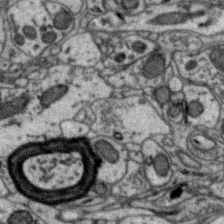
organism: Zebra finch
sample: Brain